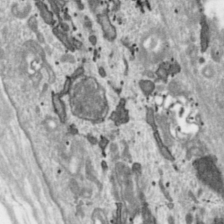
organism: Toxoplasma gondii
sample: Parasites in a vacuole inside a host cell